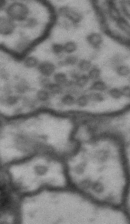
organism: Drosophila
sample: Brain